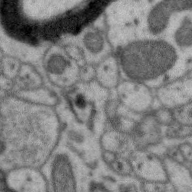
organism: Zebra finch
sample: Brain